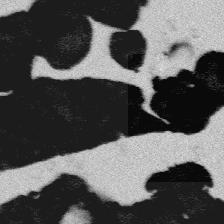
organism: Platynereis dumerilii